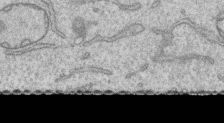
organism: Human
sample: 1205lu cells